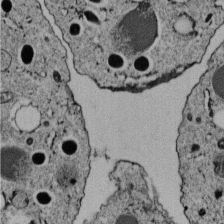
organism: C. elegans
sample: C. elegans embryo early stage